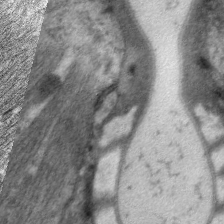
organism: C. elegans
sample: Pharynx